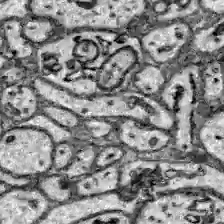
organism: Zebrafish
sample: Brain